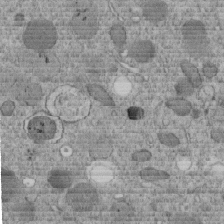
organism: C. elegans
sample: C. elegans embryo early stage